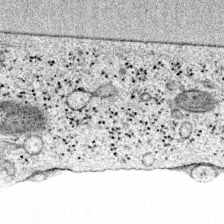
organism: Human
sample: HeLa cells